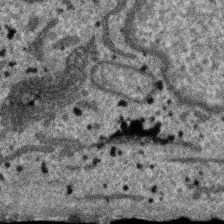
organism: Human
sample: Lung epithelial cells infected with SARS-CoV-2